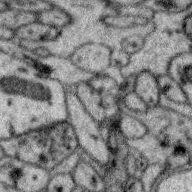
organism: Zebra finch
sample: Brain